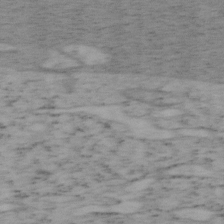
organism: Mouse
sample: OT-I killer T cells with ID8 ovarian cancer cells